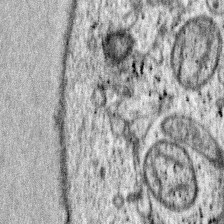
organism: Human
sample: HeLa cells